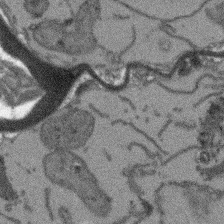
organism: Arabidopsis thaliana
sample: Root tip